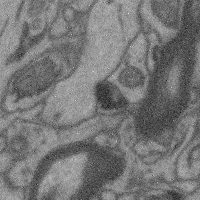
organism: Mouse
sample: Cerebral cortex